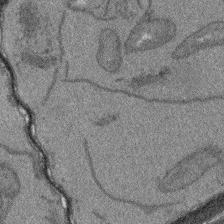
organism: Arabidopsis thaliana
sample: Root tip